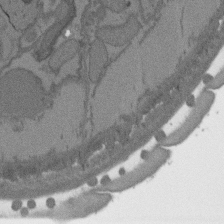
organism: C. elegans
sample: AFD neurons C. elegans